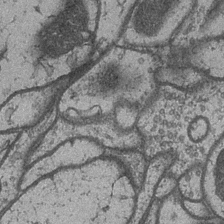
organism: Drosophila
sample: Optic medulla